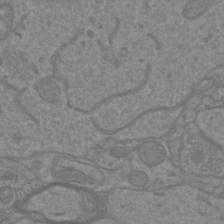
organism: Mouse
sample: Cortical neurons